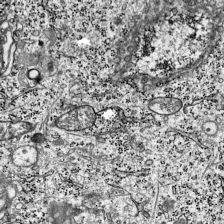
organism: Mouse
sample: Visual Cortex